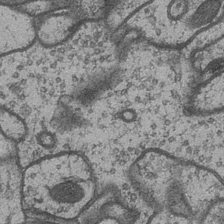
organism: Drosophila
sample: Optic medulla